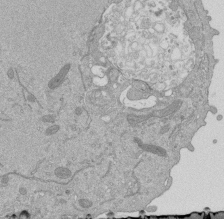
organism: Mouse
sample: ED-1 cell nuclei; centrioles